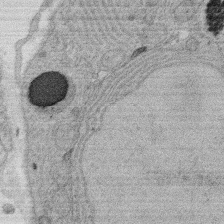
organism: Rat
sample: Salivary granule